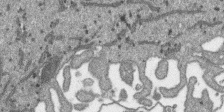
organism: Human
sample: Lung epithelial cells infected with SARS-CoV-2